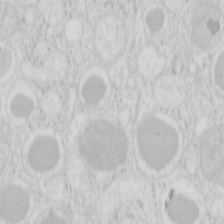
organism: Mouse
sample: Pancreas